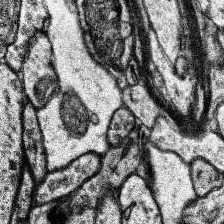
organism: Human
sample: Temporal Lobe